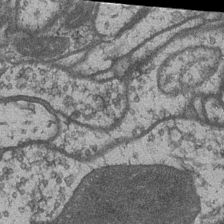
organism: Drosophila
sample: Optic medulla